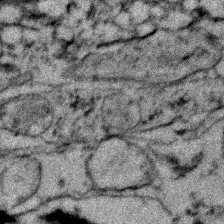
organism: Zebrafish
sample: Zebrafish embryo